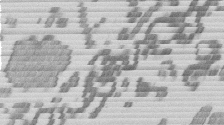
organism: Mouse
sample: Dividing mouse embryo 1 cell stage